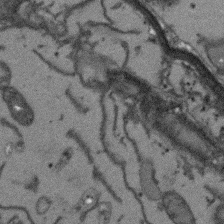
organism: Arabidopsis thaliana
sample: Root tip